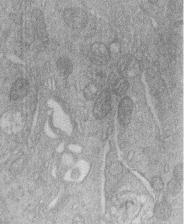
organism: Human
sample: Macrophage cells